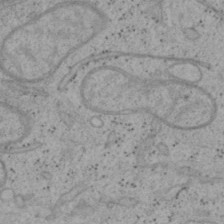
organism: Human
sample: HeLa cells